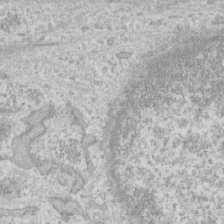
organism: Human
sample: Fibroblast cells